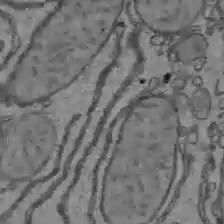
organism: C57BL Mouse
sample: Liver